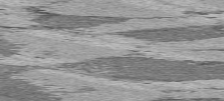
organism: C57BL Mouse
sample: Heart